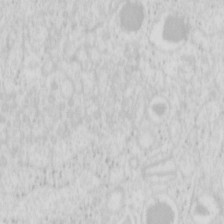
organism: Mouse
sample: Pancreas